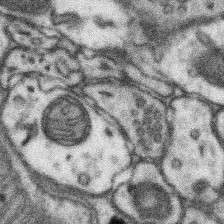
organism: Mouse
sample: Somatosensory cortex neuropil